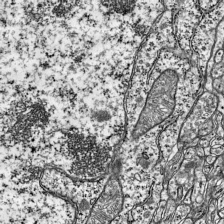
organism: Mouse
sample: Visual Cortex